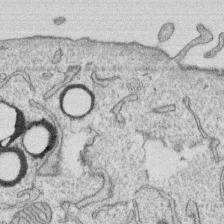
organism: Human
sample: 1205lu cells